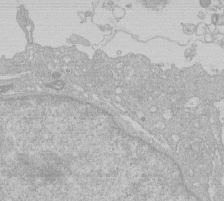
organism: Human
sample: Macrophage cells